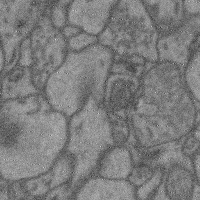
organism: Mouse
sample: Cerebral cortex